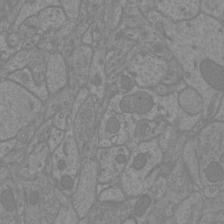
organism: Mouse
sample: Cortical neurons